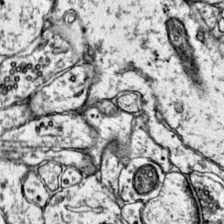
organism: Mouse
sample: Primary visual cortex